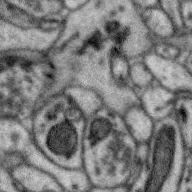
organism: Zebra finch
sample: Brain